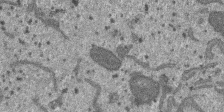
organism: Human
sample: Lung epithelial cells infected with SARS-CoV-2